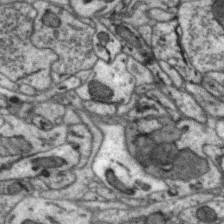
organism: Zebra finch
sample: Brain